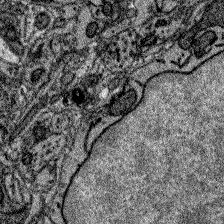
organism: Zebrafish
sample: Larval olfactory bulb